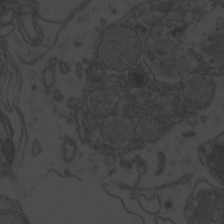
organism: Zebrafish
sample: Macrophage infected with Toxoplasma gondii